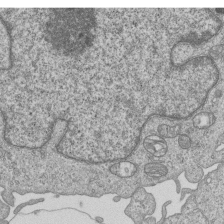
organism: Human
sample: MDA-MB-231 cells